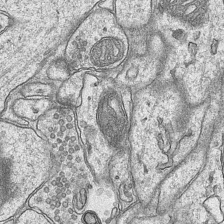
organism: Mouse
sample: CA1 Hippocampus